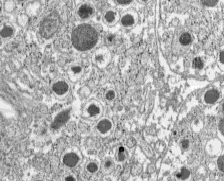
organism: C57BL Mouse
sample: Pancreatic islet